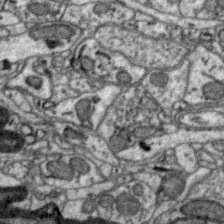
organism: Zebra finch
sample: Brain